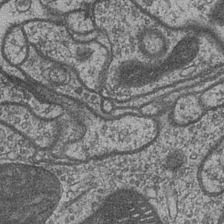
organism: Drosophila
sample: Optic medulla